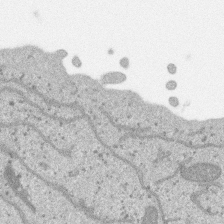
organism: Human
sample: Lung epithelial cells infected with SARS-CoV-2